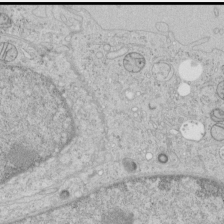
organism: Human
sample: Mitochondria in HCT116 cells